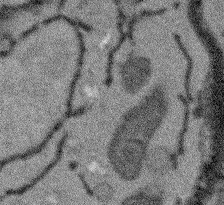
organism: Arabidopsis thaliana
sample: Root tip